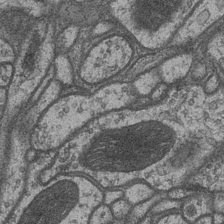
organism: Drosophila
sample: Optic medulla